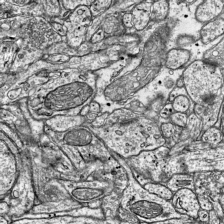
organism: Mouse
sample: Visual Cortex